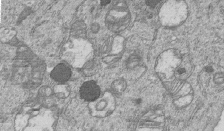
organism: Human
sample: MDA-MB-231 cells